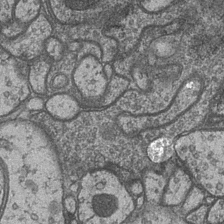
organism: Drosophila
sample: Optic medulla